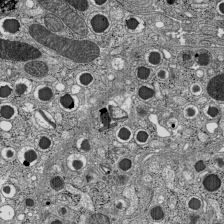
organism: C57BL Mouse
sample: Pancreatic islet